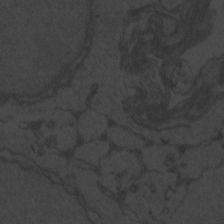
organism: Zebrafish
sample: Macrophage infected with Toxoplasma gondii